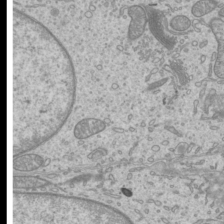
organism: Mouse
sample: Cilia; mouse epididymis